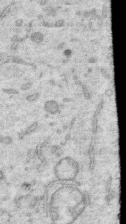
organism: Human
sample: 1205lu cells